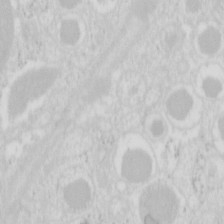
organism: Mouse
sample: Pancreas